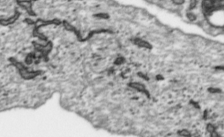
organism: Toxoplasma gondii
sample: Parasites in a vacuole inside a host cell